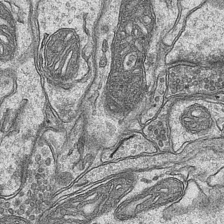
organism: Mouse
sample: CA1 Hippocampus